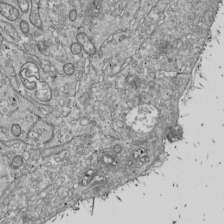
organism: Drosophila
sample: Cell division; meiosis; drosophila spermatocytes